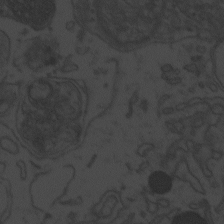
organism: Zebrafish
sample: Macrophage infected with Toxoplasma gondii